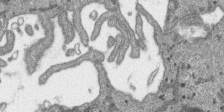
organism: Human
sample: Lung epithelial cells infected with SARS-CoV-2